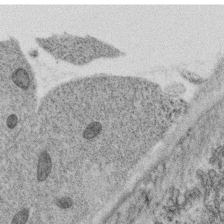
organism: C. elegans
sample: C. elegans oocyte; sperm cells